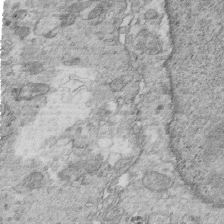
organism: Mouse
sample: Multiciliated cells